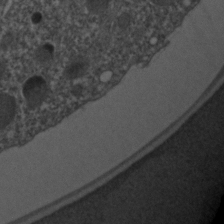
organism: C. elegans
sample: C. elegans embryo